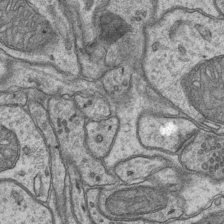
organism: Mouse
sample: CA1 Hippocampus